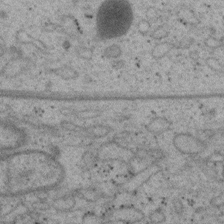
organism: Human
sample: HeLa cells